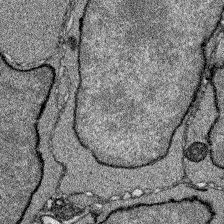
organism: Zebrafish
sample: Larval olfactory bulb